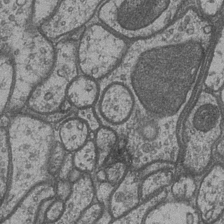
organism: Drosophila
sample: Optic medulla